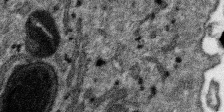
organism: Human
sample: Lung epithelial cells infected with SARS-CoV-2